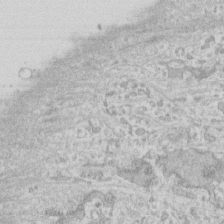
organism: Human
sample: Fibroblast cells